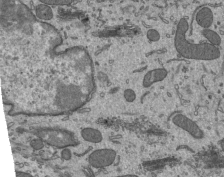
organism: Mouse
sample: Mouse epididymis efferent ductule cilia